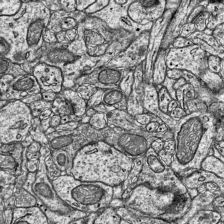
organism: Mouse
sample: Visual Cortex